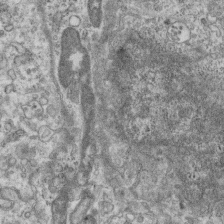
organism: Mouse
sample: Centriole in ependymal cells